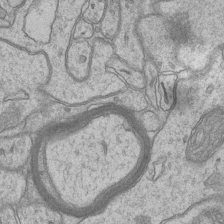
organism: Mouse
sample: CA1 Hippocampus